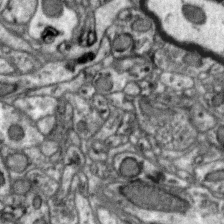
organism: Zebra finch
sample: Brain